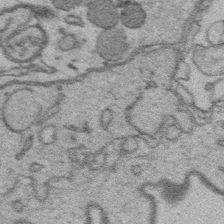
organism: Platynereis dumerilii